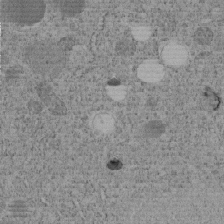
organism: C. elegans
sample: C. elegans embryo early stage